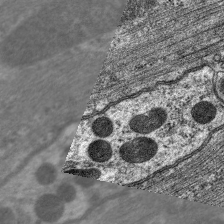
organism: C. elegans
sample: Pharynx